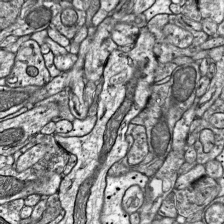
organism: Mouse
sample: Visual Cortex